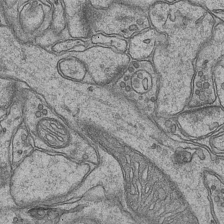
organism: Mouse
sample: CA1 Hippocampus